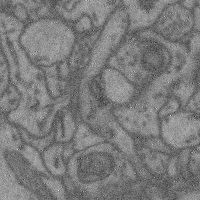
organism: Mouse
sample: Cerebral cortex